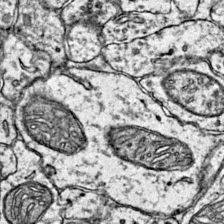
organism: Mouse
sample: Primary visual cortex